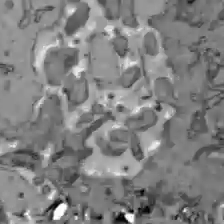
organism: C57BL Mouse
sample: Liver